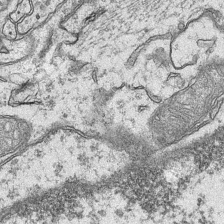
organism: Mouse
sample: CA1 Hippocampus